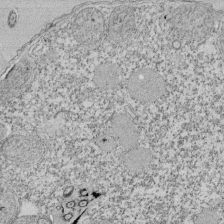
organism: Tetrahymena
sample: Cilia in tetrahymena